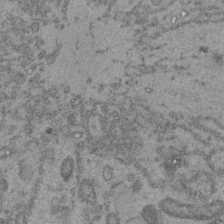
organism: C. elegans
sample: C. elegans embryo early stage